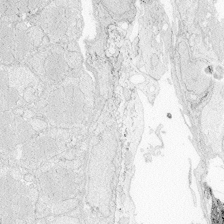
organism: Zebrafish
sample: Whole-Brain